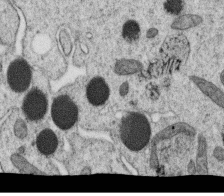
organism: C. elegans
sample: C. elegans oocyte; sperm cells